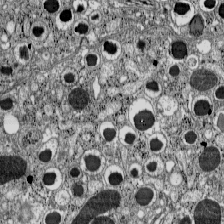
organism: C57BL Mouse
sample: Pancreatic islet